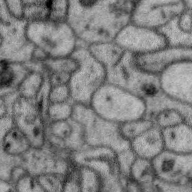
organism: Zebra finch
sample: Brain